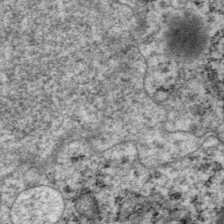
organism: P. pacificus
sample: Pharynx